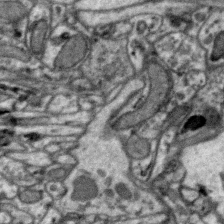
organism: Zebra finch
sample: Brain